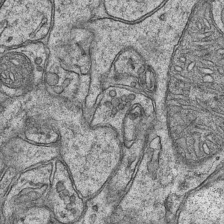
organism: Mouse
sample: CA1 Hippocampus